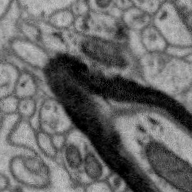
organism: Zebra finch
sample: Brain